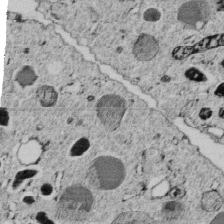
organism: C. elegans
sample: C. elegans embryo early stage